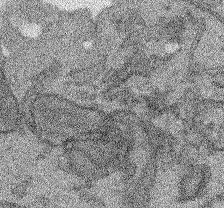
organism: Human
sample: HeLa cells